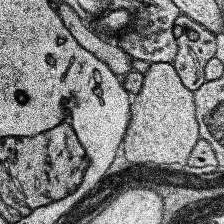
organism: Human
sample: Temporal Lobe